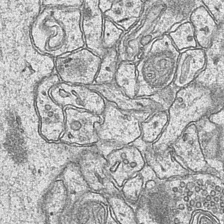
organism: Mouse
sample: CA1 Hippocampus